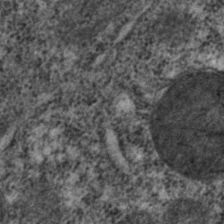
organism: C. elegans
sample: C. elegans embryo